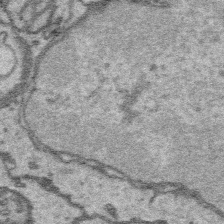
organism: Platynereis dumerilii